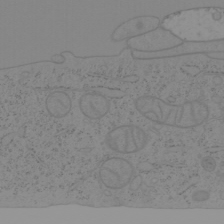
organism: Human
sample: HeLa cells